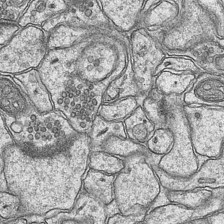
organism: Mouse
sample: CA1 Hippocampus